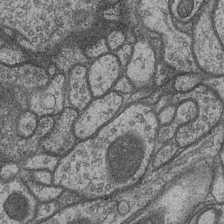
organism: Drosophila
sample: Optic medulla